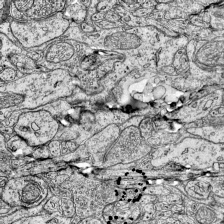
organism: Mouse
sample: Visual Cortex